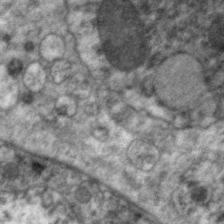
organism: C. elegans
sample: Pharynx